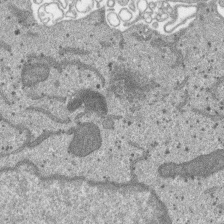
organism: Human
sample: Lung epithelial cells infected with SARS-CoV-2